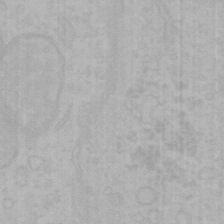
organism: Mouse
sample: Choroid plexus